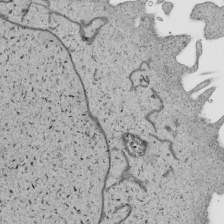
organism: Human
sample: Mitochondria in HCT116 cells